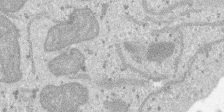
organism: Human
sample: Lung epithelial cells infected with SARS-CoV-2